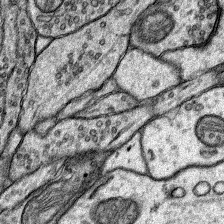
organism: Rat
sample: Hippocampus